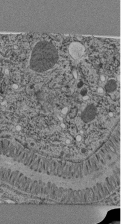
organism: C. elegans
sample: C. elegans pharynx